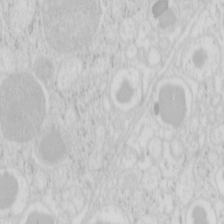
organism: Mouse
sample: Pancreas